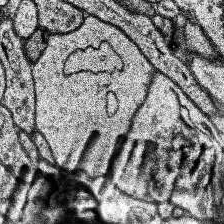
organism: Human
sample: Temporal Lobe